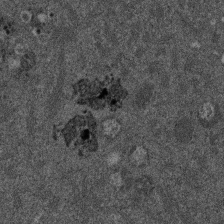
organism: Mouse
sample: Dividing mouse embryo 1 cell stage